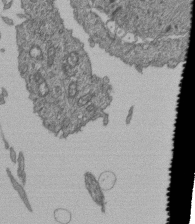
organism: Human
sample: Retinal organoid Rod and Cone cells